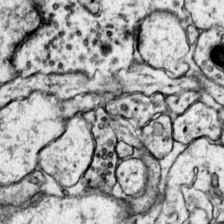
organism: Mouse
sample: Primary visual cortex